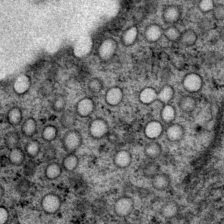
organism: P. pacificus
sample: Pharynx